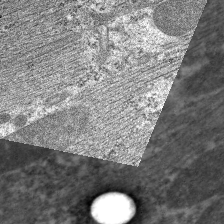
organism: C. elegans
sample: Pharynx